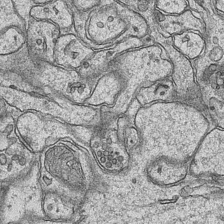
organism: Mouse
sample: CA1 Hippocampus